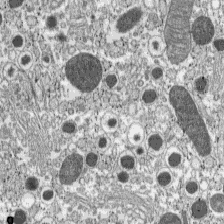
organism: C57BL Mouse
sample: Pancreatic islet